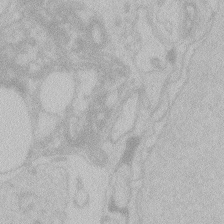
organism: Zebrafish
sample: Macrophage infected with Toxoplasma gondii